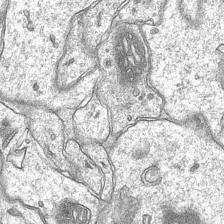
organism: Mouse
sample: CA1 Hippocampus